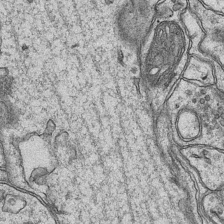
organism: Mouse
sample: CA1 Hippocampus